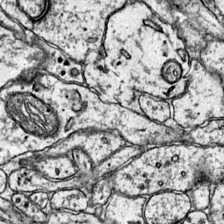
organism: Mouse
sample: Primary visual cortex